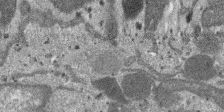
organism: Human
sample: Lung epithelial cells infected with SARS-CoV-2